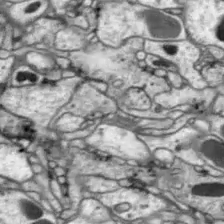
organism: Drosophila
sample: Optic lobe